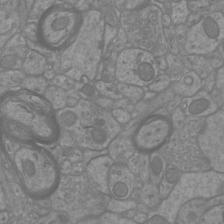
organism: Mouse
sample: Cortical neurons